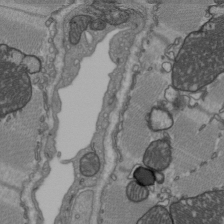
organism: C57BL Mouse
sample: Heart